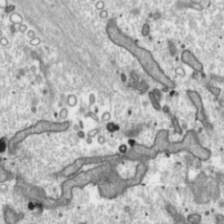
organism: Toxoplasma gondii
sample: Parasites in a vacuole inside a host cell